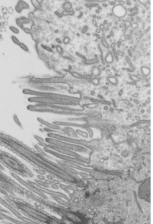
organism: Mouse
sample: Mouse epididymis efferent ductule cilia